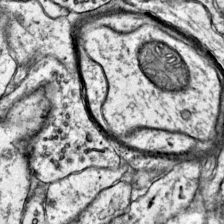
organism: Mouse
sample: Primary visual cortex